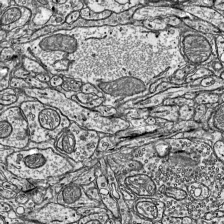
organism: Mouse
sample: Visual Cortex